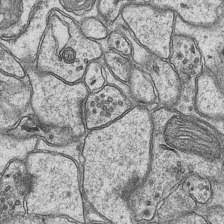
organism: Mouse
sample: CA1 Hippocampus